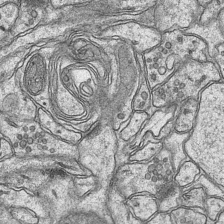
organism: Mouse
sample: CA1 Hippocampus